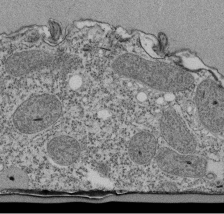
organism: Tetrahymena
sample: Cilia in tetrahymena